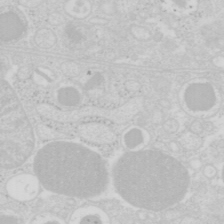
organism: Mouse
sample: Pancreas